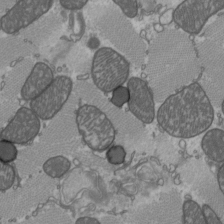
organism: C57BL Mouse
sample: Heart